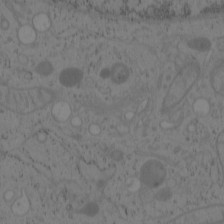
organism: Human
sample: HeLa cells